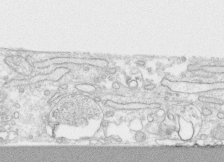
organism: Human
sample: CRL-1474